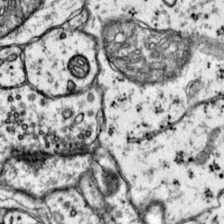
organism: Mouse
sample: Primary visual cortex